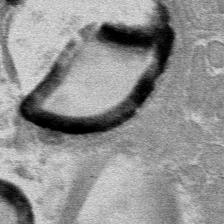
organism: Mouse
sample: Mouse hepatocytes